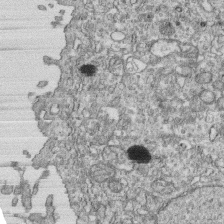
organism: Human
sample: HeLa cell HIV synapse